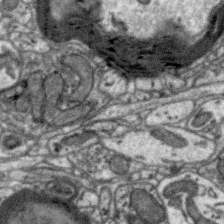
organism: Zebra finch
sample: Brain